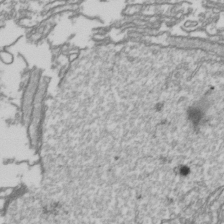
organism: Drosophila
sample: Cell division; meiosis; drosophila spermatocytes